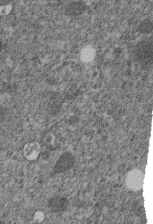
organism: C. elegans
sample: C. elegans embryo early stage